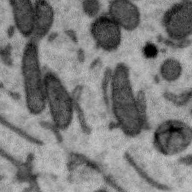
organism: Zebra finch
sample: Brain